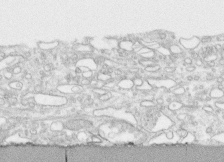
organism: Human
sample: CRL-1474